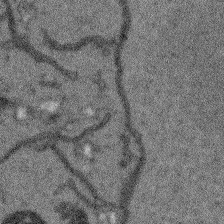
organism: Arabidopsis thaliana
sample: Root tip